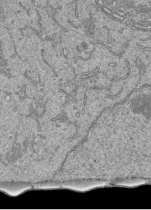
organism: Human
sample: Retinal organoid Rod and Cone cells